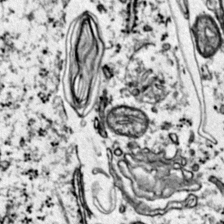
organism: Mouse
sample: Primary visual cortex